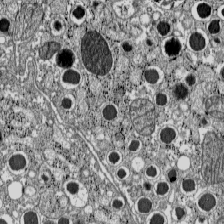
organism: C57BL Mouse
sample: Pancreatic islet